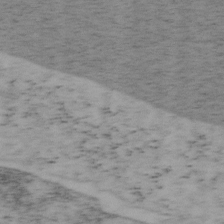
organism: Mouse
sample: OT-I killer T cells with ID8 ovarian cancer cells